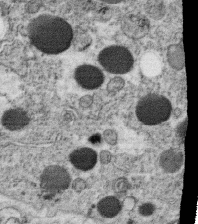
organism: C. elegans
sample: C. elegans oocyte; sperm cells